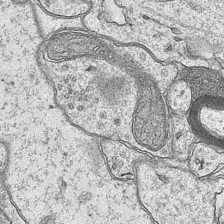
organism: Mouse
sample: CA1 Hippocampus